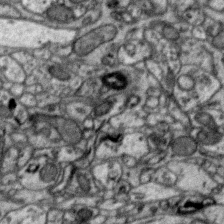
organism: Zebra finch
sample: Brain